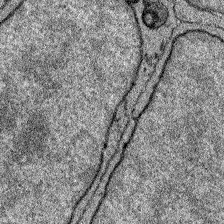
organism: Zebrafish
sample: Larval olfactory bulb